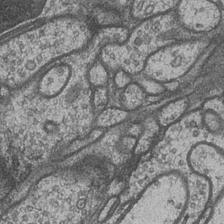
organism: Drosophila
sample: Optic medulla